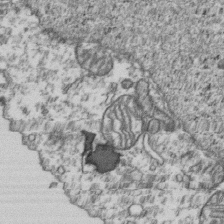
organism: Human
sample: Activated Jurkat CD4+ T cells